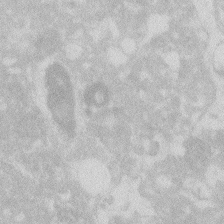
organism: Zebrafish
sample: Macrophage